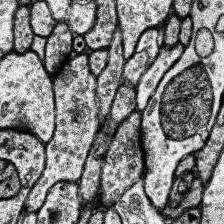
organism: Human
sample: Temporal Lobe